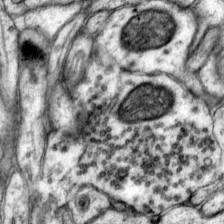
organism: Mouse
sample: Primary visual cortex